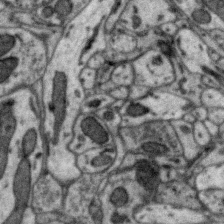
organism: Zebra finch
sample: Brain